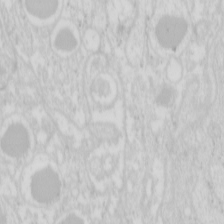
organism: Mouse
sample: Pancreas